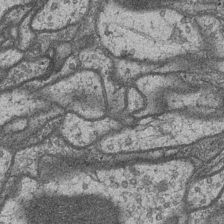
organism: Drosophila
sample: Optic medulla